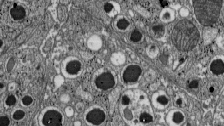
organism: C57BL Mouse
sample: Pancreatic islet